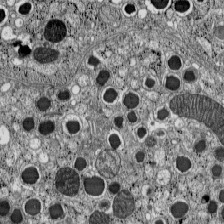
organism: C57BL Mouse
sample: Pancreatic islet